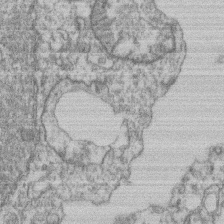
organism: Mouse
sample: T cell stromal cell synapse